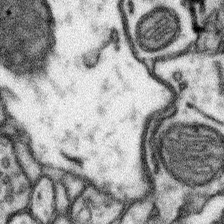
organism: Mouse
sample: Somatosensory cortex neuropil